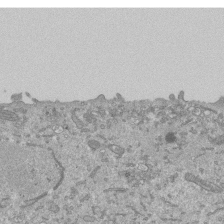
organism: Mouse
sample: ED-1 cell nuclei; centrioles